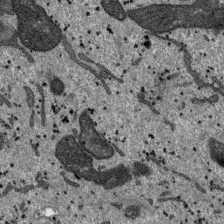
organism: Human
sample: Lung epithelial cells, uninfected (mock) control